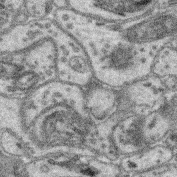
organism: Mouse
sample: Retina